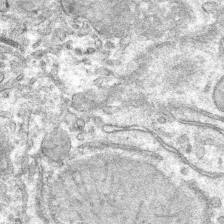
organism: Mouse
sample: Mouse hepatocytes